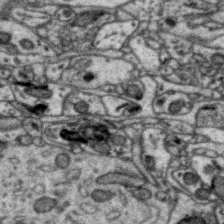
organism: Zebra finch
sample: Brain